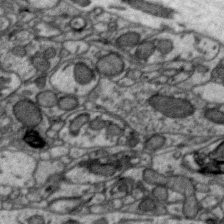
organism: Zebra finch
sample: Brain